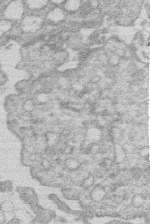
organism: Human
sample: Macrophage cells